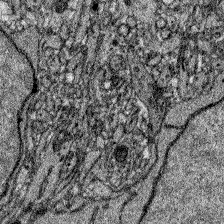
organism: Zebrafish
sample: Larval olfactory bulb